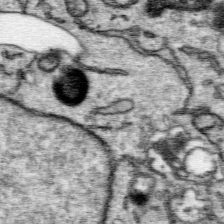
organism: Human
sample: HeLa cells